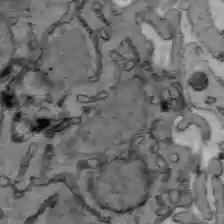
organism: C57BL Mouse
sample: Liver